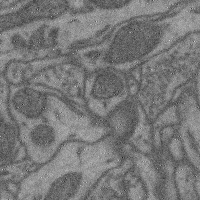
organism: Mouse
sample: Cerebral cortex